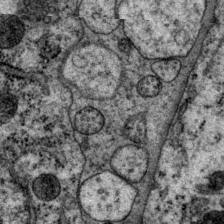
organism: P. pacificus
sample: Pharynx